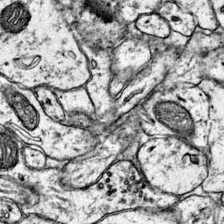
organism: Mouse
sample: Primary visual cortex